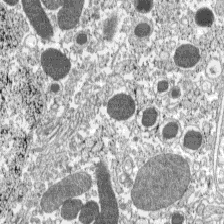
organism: C57BL Mouse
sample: Pancreatic islet